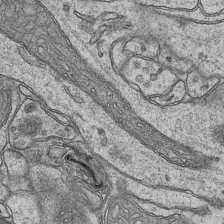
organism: Mouse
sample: CA1 Hippocampus